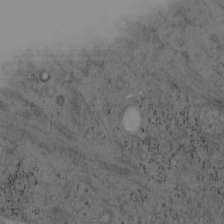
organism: Mouse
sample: OT-I killer T cells with ID8 ovarian cancer cells